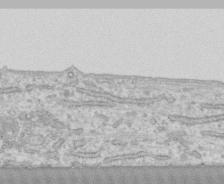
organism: Human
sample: CRL-1474